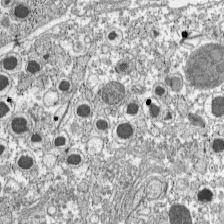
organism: C57BL Mouse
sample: Pancreatic islet